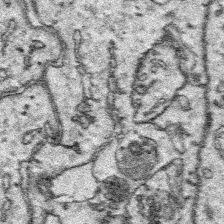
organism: Platynereis dumerilii